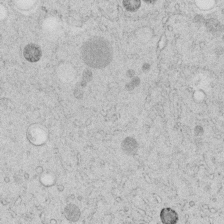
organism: C. elegans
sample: C. elegans embryo early stage